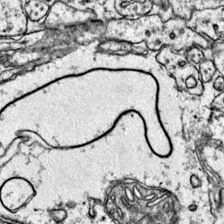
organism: Mouse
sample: Primary visual cortex